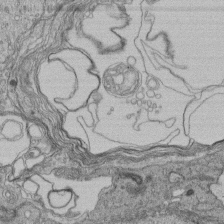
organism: Human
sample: Retinal organoid Rod and Cone cells